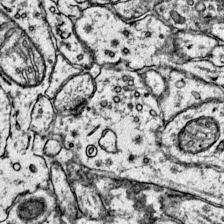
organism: Mouse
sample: Primary visual cortex